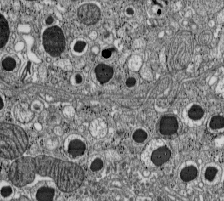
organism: C57BL Mouse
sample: Pancreatic islet